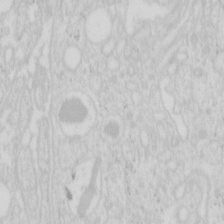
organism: Mouse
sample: Pancreas